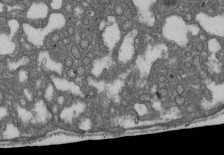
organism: Drosophila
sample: Nephrocyte